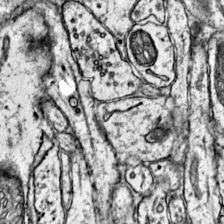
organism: Mouse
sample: Primary visual cortex